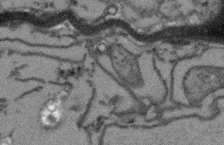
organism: Arabidopsis thaliana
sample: Root tip